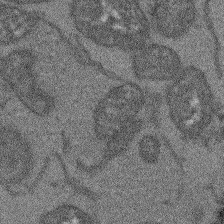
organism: Arabidopsis thaliana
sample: Root tip